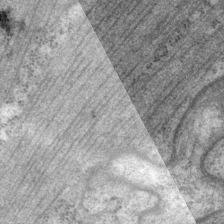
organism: P. pacificus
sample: Pharynx